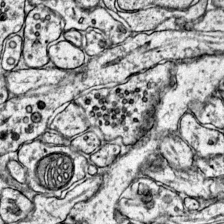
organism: Mouse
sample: Primary visual cortex